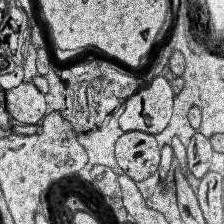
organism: Human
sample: Temporal Lobe